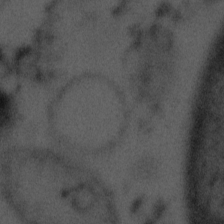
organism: Tuwongella immobilis